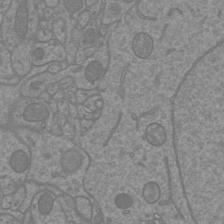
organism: Mouse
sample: Cortical neurons